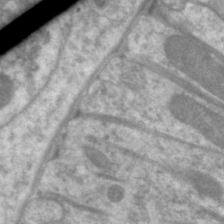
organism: C. elegans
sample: Pharynx